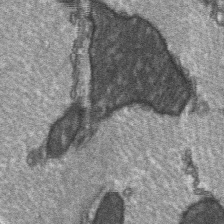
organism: C57BL Mouse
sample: Soleus